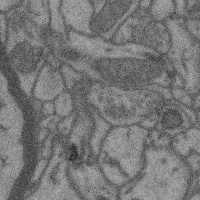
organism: Mouse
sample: Cerebral cortex